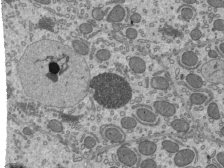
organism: Mouse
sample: Mouse epididymis efferent ductule cilia